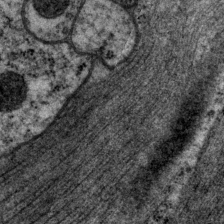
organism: P. pacificus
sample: Pharynx